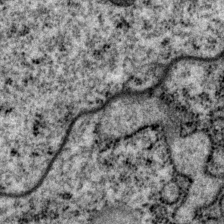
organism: P. pacificus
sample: Pharynx